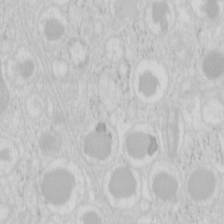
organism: Mouse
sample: Pancreas